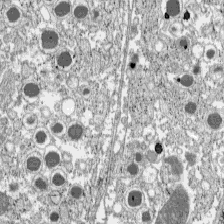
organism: C57BL Mouse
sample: Pancreatic islet